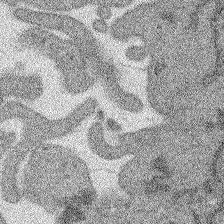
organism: Human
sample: HeLa cells